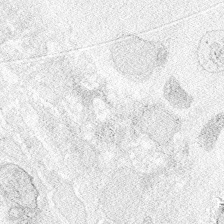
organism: Zebrafish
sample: Whole-Brain